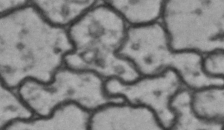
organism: Drosophila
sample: Brain